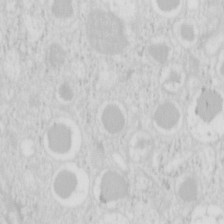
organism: Mouse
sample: Pancreas